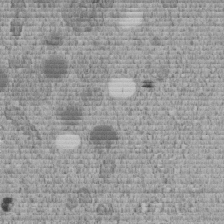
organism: C. elegans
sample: C. elegans embryo early stage